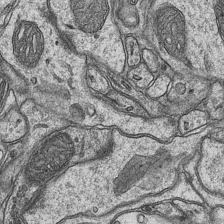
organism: Mouse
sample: CA1 Hippocampus